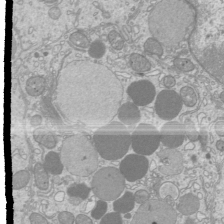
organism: Mouse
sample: Cilia; mouse epididymis